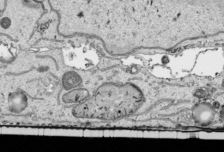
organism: Human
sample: Mitochondria in HCT116 cells